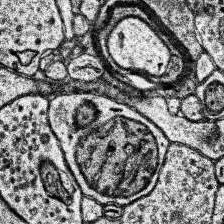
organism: Human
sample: Temporal Lobe